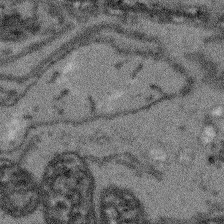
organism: Arabidopsis thaliana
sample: Root tip